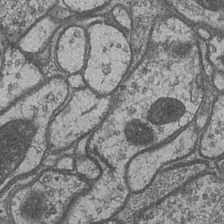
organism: Drosophila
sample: Optic medulla